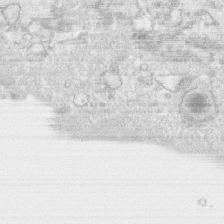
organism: Human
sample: CRL-1474